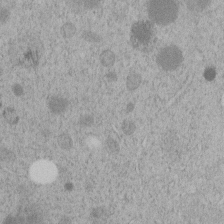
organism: C. elegans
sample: C. elegans embryo early stage